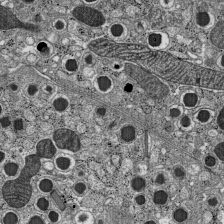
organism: C57BL Mouse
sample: Pancreatic islet